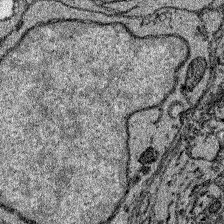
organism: Zebrafish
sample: Larval olfactory bulb